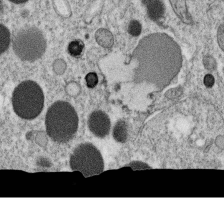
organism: C. elegans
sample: C. elegans oocyte; sperm cells